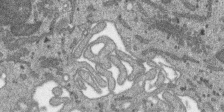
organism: Human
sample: Lung epithelial cells infected with SARS-CoV-2